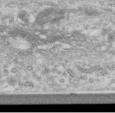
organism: Human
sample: Centriole in RPE cells